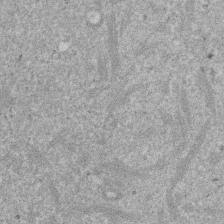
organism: Mouse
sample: Dividing mouse embryo 1 cell stage